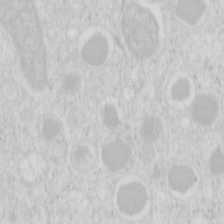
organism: Mouse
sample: Pancreas